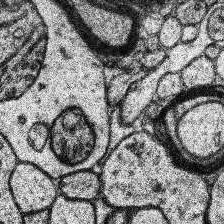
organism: Human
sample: Temporal Lobe